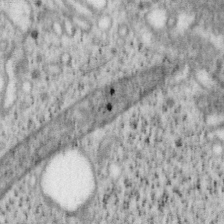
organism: Mouse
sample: OT-I killer T cells with ID8 ovarian cancer cells